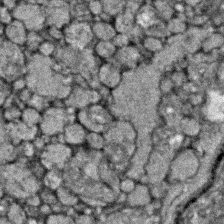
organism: Zebrafish